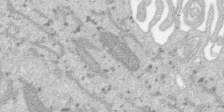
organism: Human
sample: Lung epithelial cells infected with SARS-CoV-2